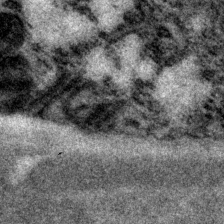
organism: P. pacificus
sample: Pharynx